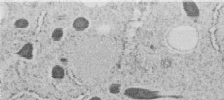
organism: C. elegans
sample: C. elegans embryo early stage